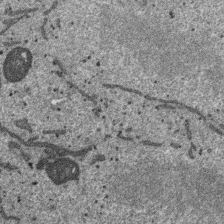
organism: Human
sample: Lung epithelial cells infected with SARS-CoV-2